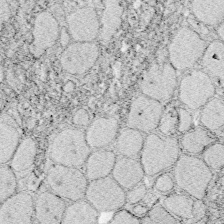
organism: Zebrafish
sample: Whole-Brain